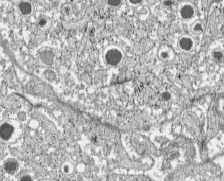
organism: C57BL Mouse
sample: Pancreatic islet